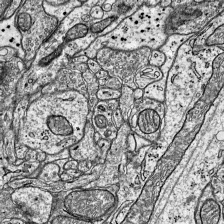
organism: Mouse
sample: Visual Cortex